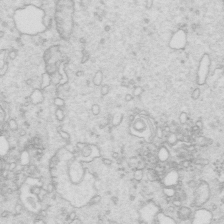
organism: Mouse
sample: Multiciliated cells